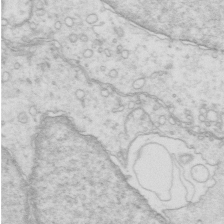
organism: Mouse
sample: Multiciliated cells